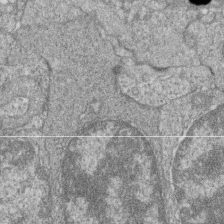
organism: Zebrafish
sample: Cilia; retinal pigment epithelium